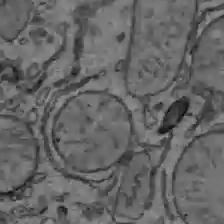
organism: C57BL Mouse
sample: Liver